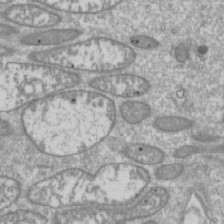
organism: Drosophila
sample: Cell division; meiosis; drosophila spermatocytes